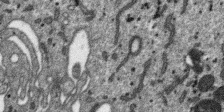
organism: Human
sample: Lung epithelial cells infected with SARS-CoV-2